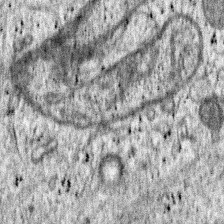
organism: Human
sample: HeLa cells